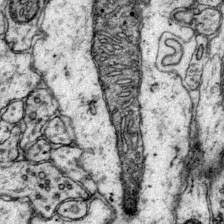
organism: Mouse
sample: Primary visual cortex